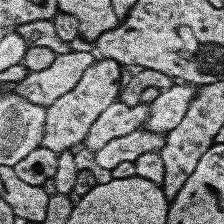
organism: Human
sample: Temporal Lobe